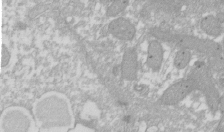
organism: Xenopus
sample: Cilia; centrioles in frog embryo cells